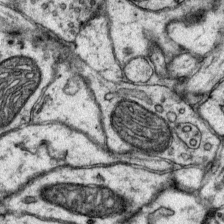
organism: Mouse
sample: Primary visual cortex